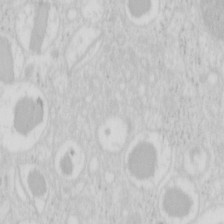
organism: Mouse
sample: Pancreas